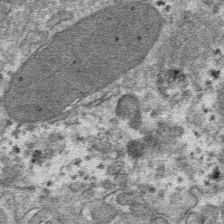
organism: Mouse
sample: Mouse hepatocytes